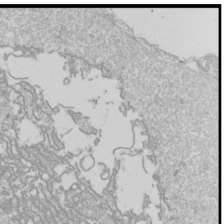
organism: Drosophila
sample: Cell division; meiosis; drosophila spermatocytes